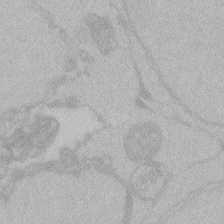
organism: Zebrafish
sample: Macrophage infected with Toxoplasma gondii